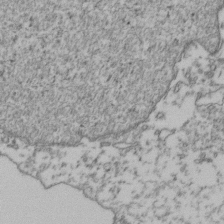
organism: Human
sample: Activated Jurkat CD4+ T cells